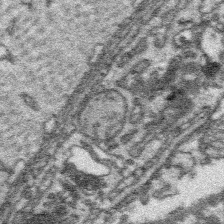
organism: Platynereis dumerilii